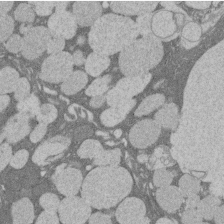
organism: Rat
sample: Salivary granule